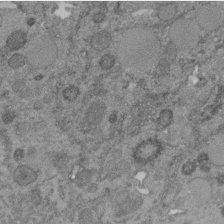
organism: C. elegans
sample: C. elegans embryo early stage